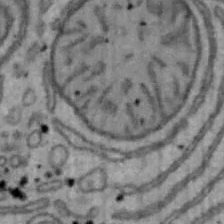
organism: Mouse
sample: Liver